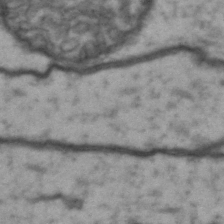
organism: Drosophila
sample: Brain